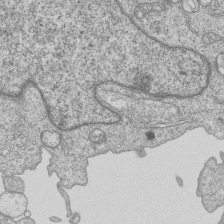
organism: Human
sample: MDA-MB-231 cells